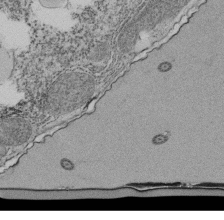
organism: Tetrahymena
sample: Cilia in tetrahymena